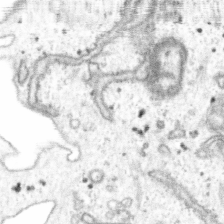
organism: Human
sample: HeLa cells